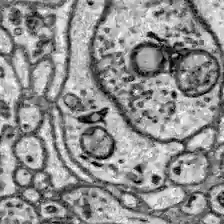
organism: Zebrafish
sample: Brain